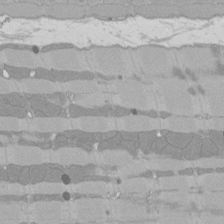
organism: Rat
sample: Left ventricle